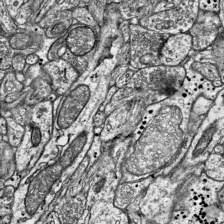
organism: Mouse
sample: Visual Cortex